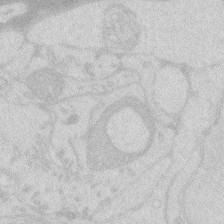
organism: Zebrafish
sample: Macrophage